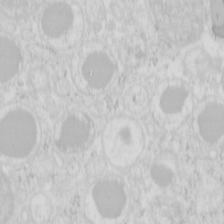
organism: Mouse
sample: Pancreas